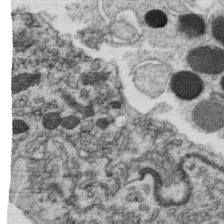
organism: C. elegans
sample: C. elegans oocyte; sperm cells